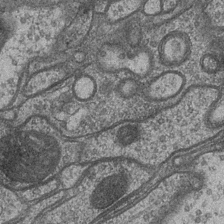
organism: Drosophila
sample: Optic medulla